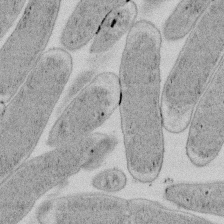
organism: E. coli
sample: Bacterial nucleoid